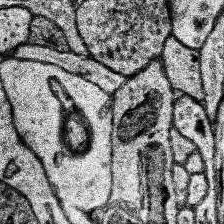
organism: Human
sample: Temporal Lobe